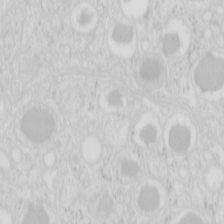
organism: Mouse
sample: Pancreas